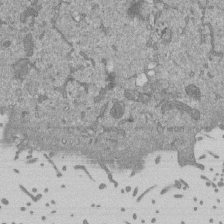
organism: Mouse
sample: ED-1 cell nuclei; centrioles